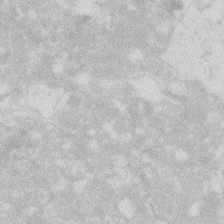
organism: Zebrafish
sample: Macrophage